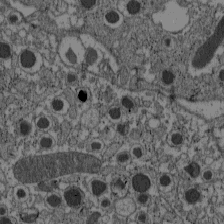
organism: C57BL Mouse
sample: Pancreatic islet